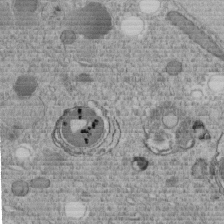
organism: C. elegans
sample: C. elegans embryo early stage